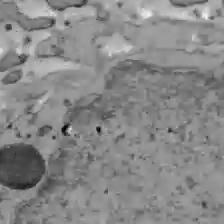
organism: C57BL Mouse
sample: Liver